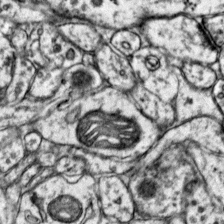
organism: Mouse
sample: Primary visual cortex